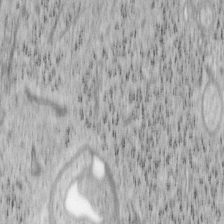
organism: Human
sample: HeLa cells